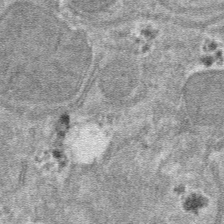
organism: Mouse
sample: Mouse hepatocytes